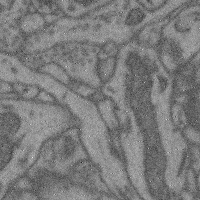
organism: Mouse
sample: Cerebral cortex